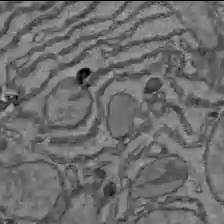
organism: C57BL Mouse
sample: Liver